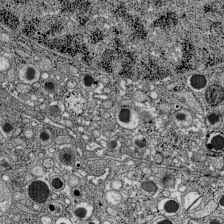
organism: C57BL Mouse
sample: Pancreatic islet